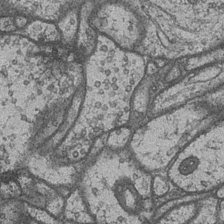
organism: Drosophila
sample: Optic medulla